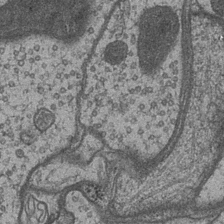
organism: Drosophila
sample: Optic medulla